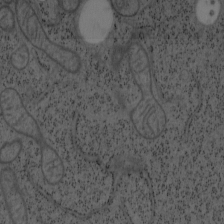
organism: Mouse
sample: OT-I killer T cells with ID8 ovarian cancer cells